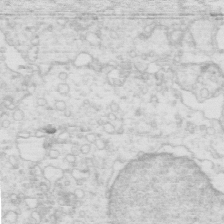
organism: Mouse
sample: Multiciliated cells